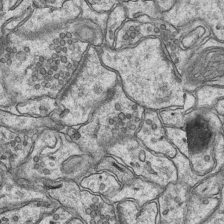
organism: Mouse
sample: CA1 Hippocampus